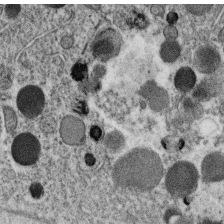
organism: C. elegans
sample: C. elegans oocyte; sperm cells